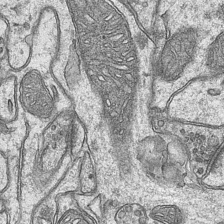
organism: Mouse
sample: CA1 Hippocampus